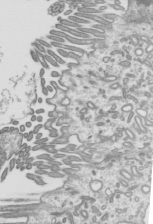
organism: Mouse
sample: Mouse epididymis efferent ductule cilia